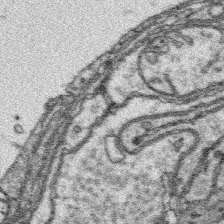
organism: Platynereis dumerilii